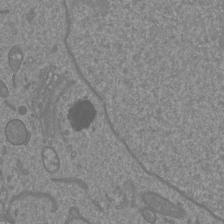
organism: Mouse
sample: Cortical neurons